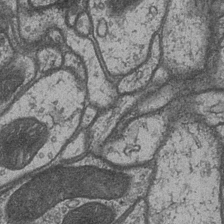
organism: Drosophila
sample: Optic medulla